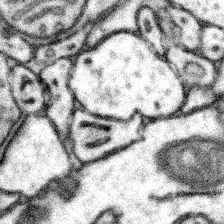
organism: Mouse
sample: Somatosensory cortex neuropil